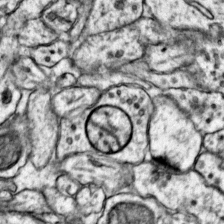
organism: Mouse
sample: Primary visual cortex